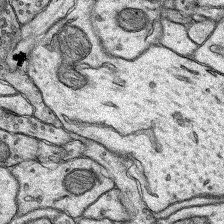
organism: Rat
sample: Hippocampus